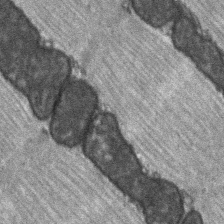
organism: C57BL Mouse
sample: Soleus